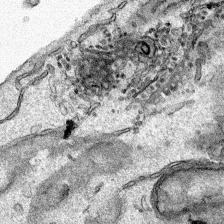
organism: Human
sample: Mitochondria in HCT116 cells